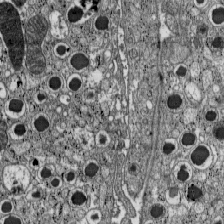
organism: C57BL Mouse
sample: Pancreatic islet